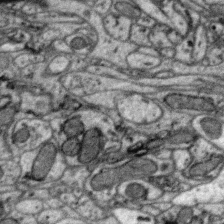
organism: Zebra finch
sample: Brain